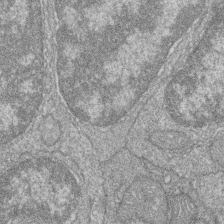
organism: Zebrafish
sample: Cilia; retinal pigment epithelium